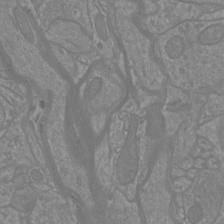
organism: Mouse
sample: Cortical neurons